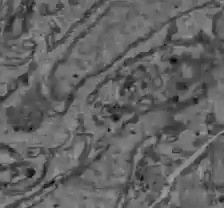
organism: C57BL Mouse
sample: Liver